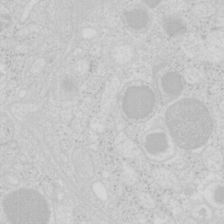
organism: Mouse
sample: Pancreas